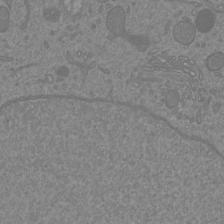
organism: Mouse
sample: Cortical neurons